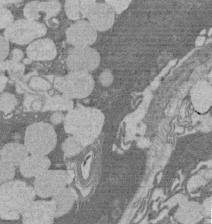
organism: Rat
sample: Salivary granule